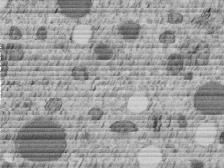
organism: C. elegans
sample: C. elegans embryo early stage